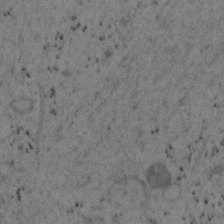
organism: Human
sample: HeLa cells